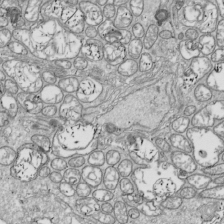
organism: Drosophila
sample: Cell division; meiosis; drosophila spermatocytes